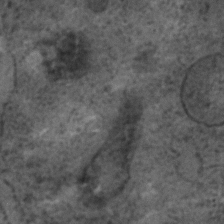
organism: C. elegans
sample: C. elegans embryo